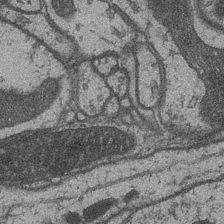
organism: Drosophila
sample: Optic medulla